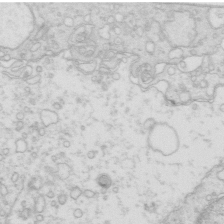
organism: Mouse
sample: Multiciliated cells